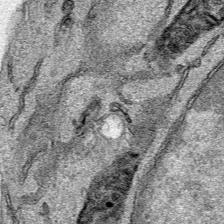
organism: Human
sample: Mitochondria in HCT116 cells